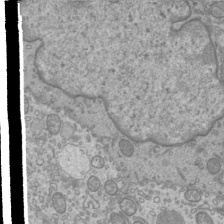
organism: Mouse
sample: Cilia; mouse epididymis